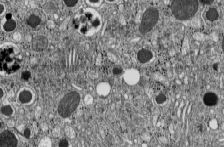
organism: C57BL Mouse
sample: Pancreatic islet